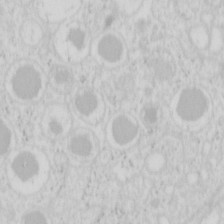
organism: Mouse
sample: Pancreas